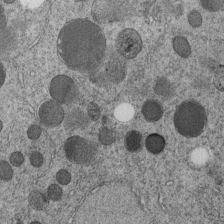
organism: C. elegans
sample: C. elegans embryo early stage